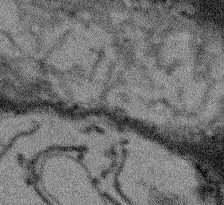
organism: Arabidopsis thaliana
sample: Root tip